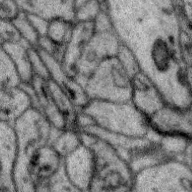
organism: Zebra finch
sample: Brain